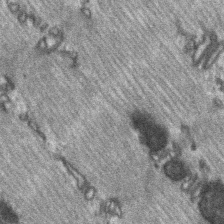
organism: C57BL Mouse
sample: Soleus